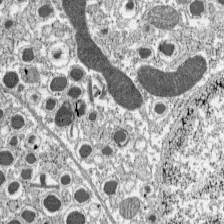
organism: C57BL Mouse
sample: Pancreatic islet